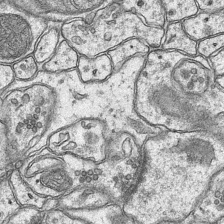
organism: Mouse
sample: CA1 Hippocampus